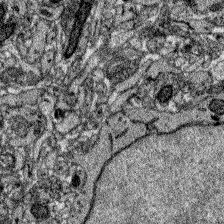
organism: Zebrafish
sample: Larval olfactory bulb